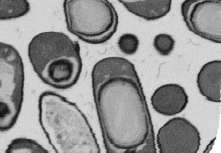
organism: B. subtilis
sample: Bacterial spore